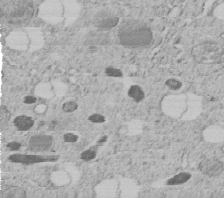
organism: C. elegans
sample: C. elegans embryo early stage